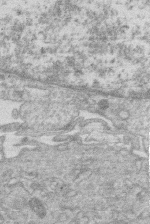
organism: Human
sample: Macrophage cells